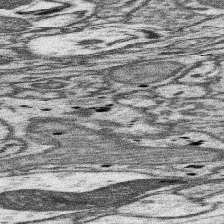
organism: Mouse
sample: Somatosensory cortex neuropil